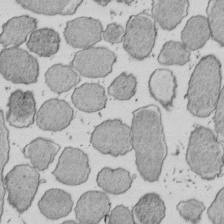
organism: E. coli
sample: Bacterial nucleoid